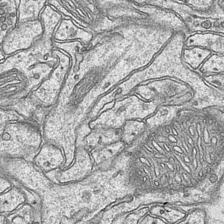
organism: Mouse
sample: CA1 Hippocampus